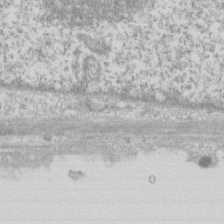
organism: Human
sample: CRL-1474